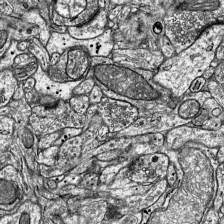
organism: Mouse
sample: Visual Cortex